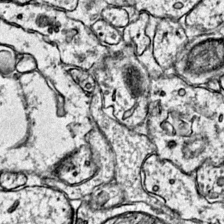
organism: Mouse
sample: Primary visual cortex